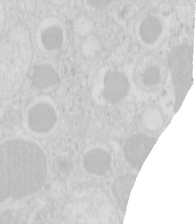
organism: Mouse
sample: Pancreas